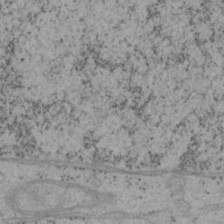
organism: Human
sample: HeLa cells